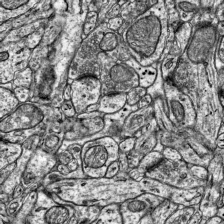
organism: Mouse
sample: Visual Cortex